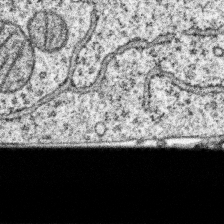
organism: Human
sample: HeLa cells